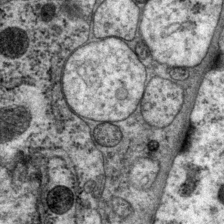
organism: P. pacificus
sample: Pharynx